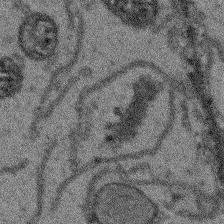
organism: Arabidopsis thaliana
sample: Root tip